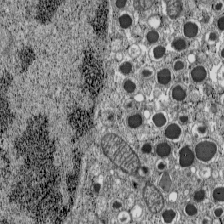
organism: C57BL Mouse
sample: Pancreatic islet